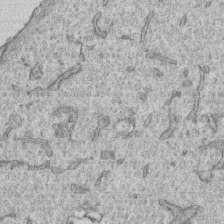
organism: Human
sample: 1205lu cells